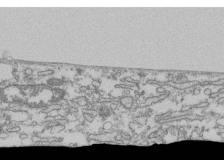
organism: Human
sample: Fibroblast cells